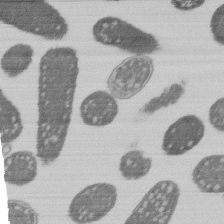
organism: E. coli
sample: Bacterial nucleoid